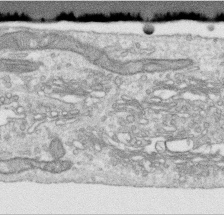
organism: Human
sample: Centriole in RPE cells